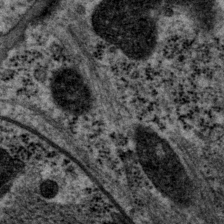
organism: P. pacificus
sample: Pharynx